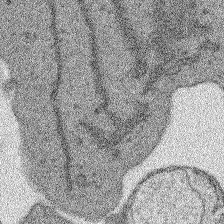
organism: Human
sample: HeLa cells